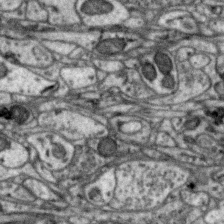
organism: Zebra finch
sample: Brain